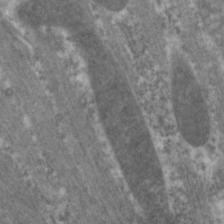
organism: C. elegans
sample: Pharynx